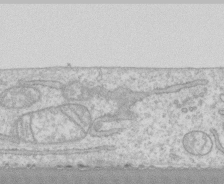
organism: Human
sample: CRL-1474